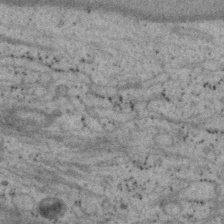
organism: Human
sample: HeLa cells